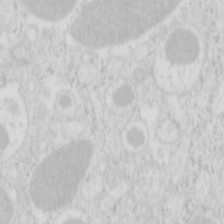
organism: Mouse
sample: Pancreas